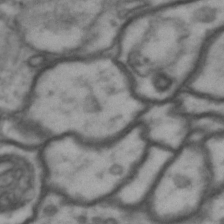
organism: Drosophila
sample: Brain